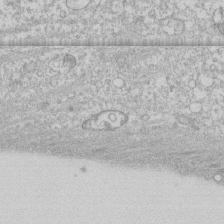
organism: Human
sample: CRL-1474